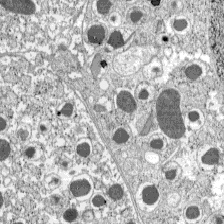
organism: C57BL Mouse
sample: Pancreatic islet